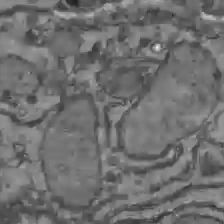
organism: C57BL Mouse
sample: Liver